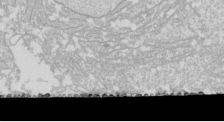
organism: Drosophila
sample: Cell division; meiosis; drosophila spermatocytes